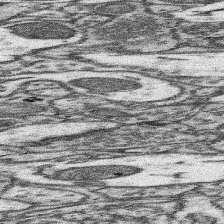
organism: Mouse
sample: Somatosensory cortex neuropil